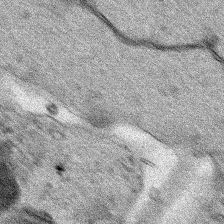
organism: Human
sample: Mitochondria in HCT116 cells